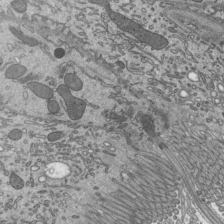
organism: Mouse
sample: Mouse epididymis efferent ductule cilia